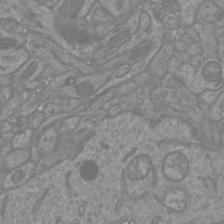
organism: Mouse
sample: Cortical neurons